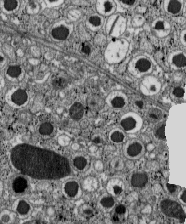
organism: C57BL Mouse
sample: Pancreatic islet